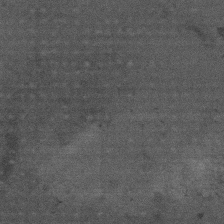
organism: Mouse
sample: Centriole in ependymal cells